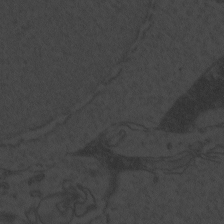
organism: Zebrafish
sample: Macrophage infected with Toxoplasma gondii